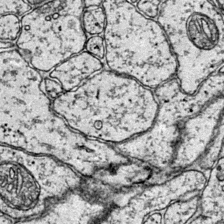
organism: Mouse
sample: Primary visual cortex